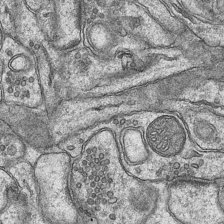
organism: Mouse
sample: CA1 Hippocampus